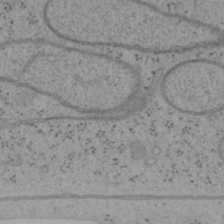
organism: Human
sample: HeLa cells